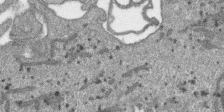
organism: Human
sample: Lung epithelial cells infected with SARS-CoV-2